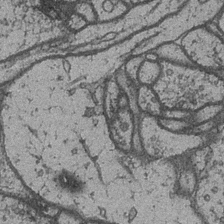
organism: Drosophila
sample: Optic medulla